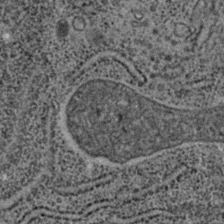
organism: C. elegans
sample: C. elegans embryo